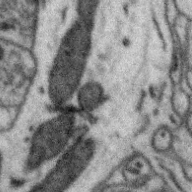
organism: Zebra finch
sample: Brain